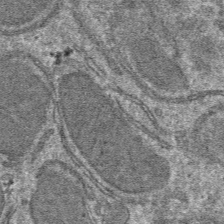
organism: Mouse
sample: Mouse hepatocytes